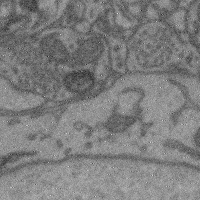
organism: Mouse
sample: Cerebral cortex